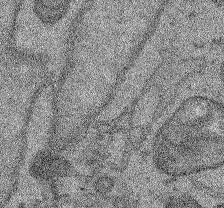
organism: Human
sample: HeLa cells